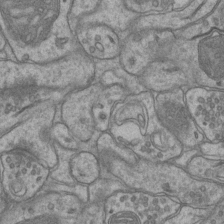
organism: Mouse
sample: CA1 Hippocampus